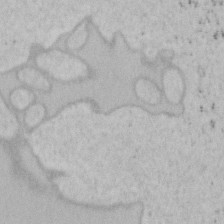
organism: Human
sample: HeLa cells